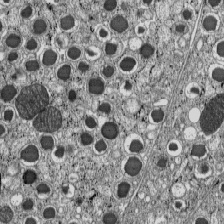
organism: C57BL Mouse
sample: Pancreatic islet